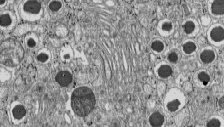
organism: C57BL Mouse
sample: Pancreatic islet